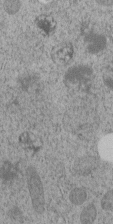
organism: C. elegans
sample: C. elegans embryo early stage